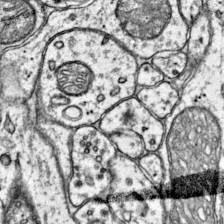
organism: Mouse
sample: Primary visual cortex